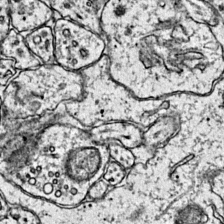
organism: Mouse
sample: Primary visual cortex